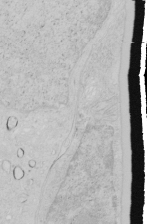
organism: Human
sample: Mitochondria in HCT116 cells